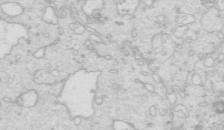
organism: Mouse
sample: Multiciliated cells